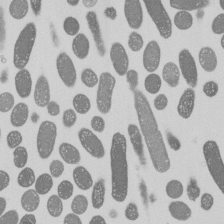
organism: E. coli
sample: Bacterial nucleoid